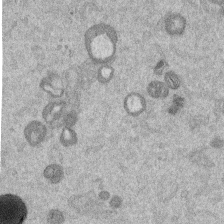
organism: Mouse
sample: Dividing mouse embryo 1 cell stage